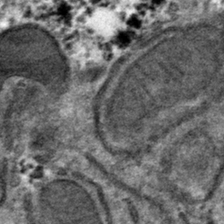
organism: Mouse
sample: Mouse hepatocytes